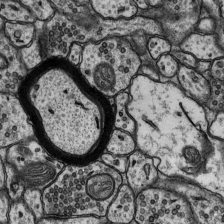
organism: Rat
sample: Hippocampus